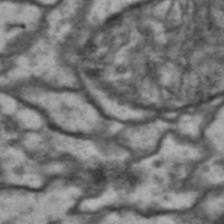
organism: Drosophila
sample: Brain